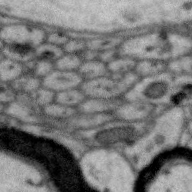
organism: Zebra finch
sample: Brain